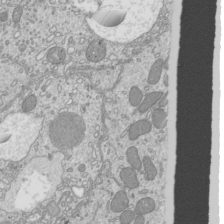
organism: Mouse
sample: Cilia; mouse epididymis